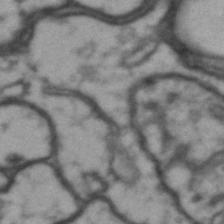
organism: Drosophila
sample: Brain